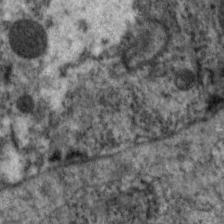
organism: C. elegans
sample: Pharynx